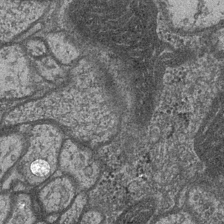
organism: Drosophila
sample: Optic medulla